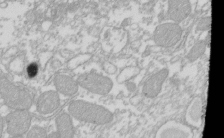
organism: Xenopus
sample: Cilia; centrioles in frog embryo cells